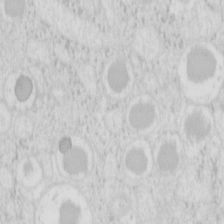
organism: Mouse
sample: Pancreas